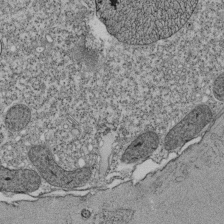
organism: Tetrahymena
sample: Cilia in tetrahymena